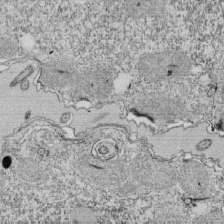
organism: Tetrahymena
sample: Cilia in tetrahymena